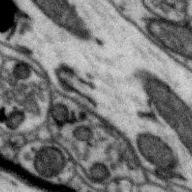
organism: Zebra finch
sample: Brain